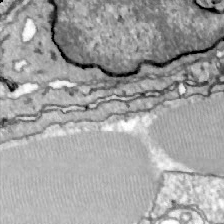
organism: Zebrafish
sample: Actinotrichia fibers